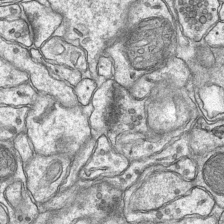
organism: Mouse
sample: CA1 Hippocampus